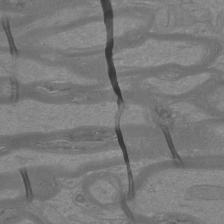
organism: Mouse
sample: Cortical neurons